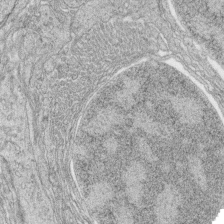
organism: Zebrafish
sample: synaptic ribbons in rod cells and cone cells